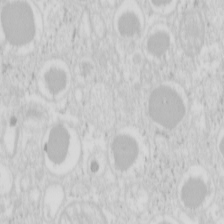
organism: Mouse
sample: Pancreas